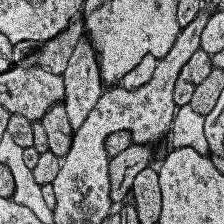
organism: Human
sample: Temporal Lobe